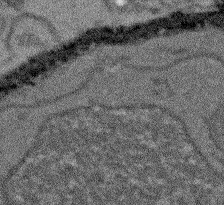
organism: Arabidopsis thaliana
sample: Root tip